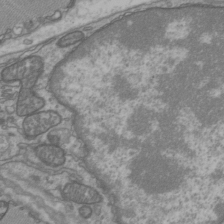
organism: C57BL Mouse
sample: Heart